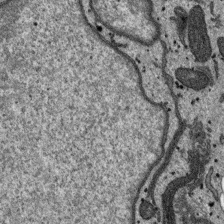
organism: Human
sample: Lung epithelial cells, uninfected (mock) control